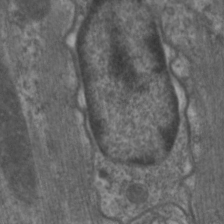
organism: C. elegans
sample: Pharynx